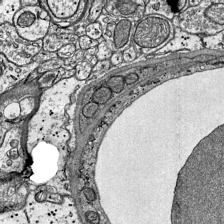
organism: Mouse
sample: Visual Cortex